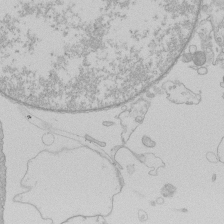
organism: Human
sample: Macrophage cells